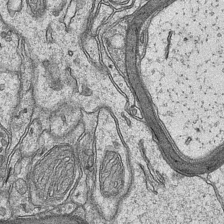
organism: Mouse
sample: CA1 Hippocampus